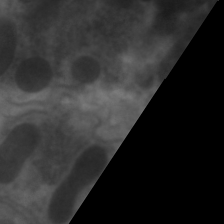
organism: C. elegans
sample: Pharynx